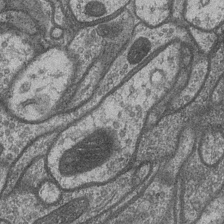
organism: Drosophila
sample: Optic medulla